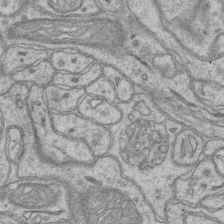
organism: Mouse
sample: CA1 Hippocampus